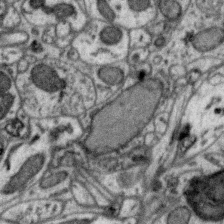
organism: Zebra finch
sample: Brain